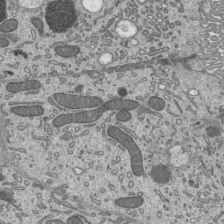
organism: Mouse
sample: Mouse epididymis efferent ductule cilia